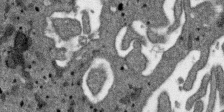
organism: Human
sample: Lung epithelial cells, uninfected (mock) control